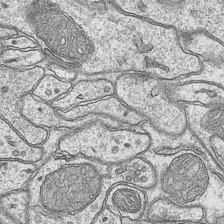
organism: Mouse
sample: CA1 Hippocampus